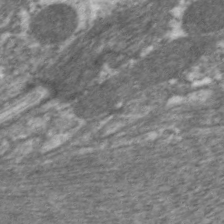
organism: C. elegans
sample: Pharynx